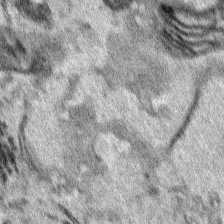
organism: Human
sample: Mitochondria in HCT116 cells